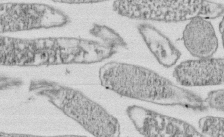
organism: E. coli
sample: Bacterial nucleoid